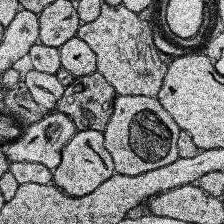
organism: Human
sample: Temporal Lobe